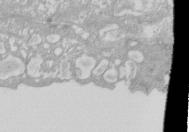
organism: Xenopus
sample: Cilia; centrioles in frog embryo cells